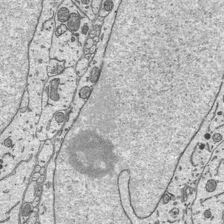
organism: Mouse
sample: Suprachiasmatic nucleus